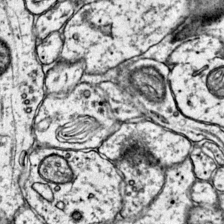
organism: Mouse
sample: Primary visual cortex